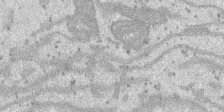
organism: Human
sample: Lung epithelial cells infected with SARS-CoV-2